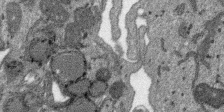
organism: Human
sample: Lung epithelial cells infected with SARS-CoV-2